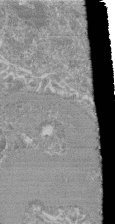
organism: Mouse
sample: Glomerulus